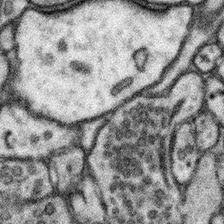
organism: Mouse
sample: Somatosensory cortex neuropil